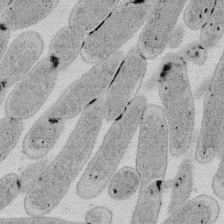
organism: E. coli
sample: Bacterial nucleoid